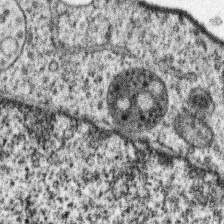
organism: Human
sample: HeLa cells